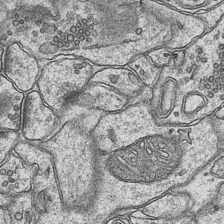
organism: Mouse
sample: CA1 Hippocampus